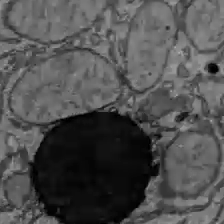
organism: C57BL Mouse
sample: Liver